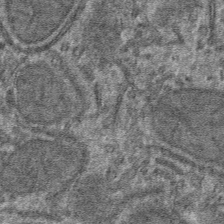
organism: Mouse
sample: Mouse hepatocytes